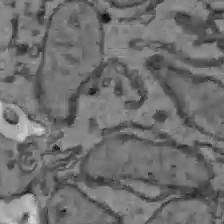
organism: C57BL Mouse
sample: Liver